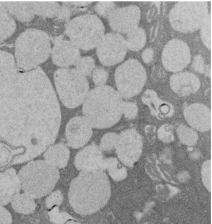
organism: Rat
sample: Salivary granule